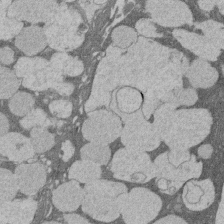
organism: Rat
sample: Salivary granule